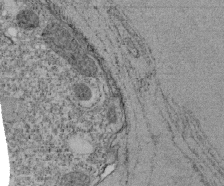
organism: Tetrahymena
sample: Cilia in tetrahymena